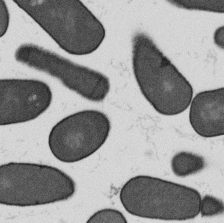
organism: B. subtilis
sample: Bacterial spore